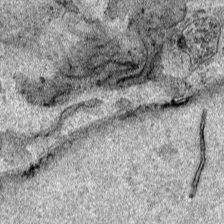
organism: Human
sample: Mitochondria in HCT116 cells